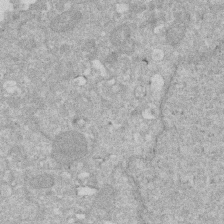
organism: Human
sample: HIV infected U937 cells